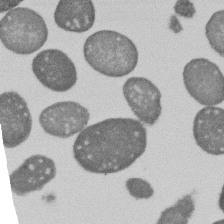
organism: E. coli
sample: Bacterial nucleoid